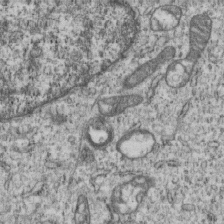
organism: Human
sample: MDA-MB-231 cells